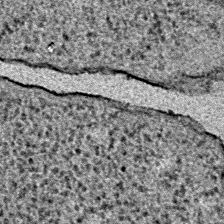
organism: E. coli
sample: E. Coli Bacteria